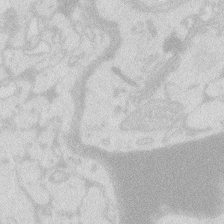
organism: Zebrafish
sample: Macrophage